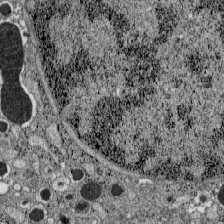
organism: C57BL Mouse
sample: Pancreatic islet